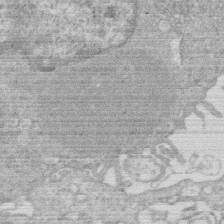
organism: Human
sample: Macrophage cells